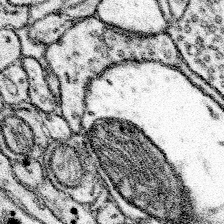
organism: Mouse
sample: Somatosensory cortex neuropil